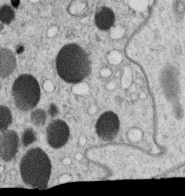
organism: C. elegans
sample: C. elegans oocyte; sperm cells